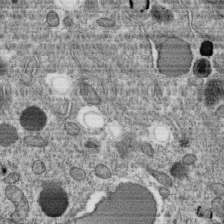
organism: C. elegans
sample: C. elegans oocyte; sperm cells